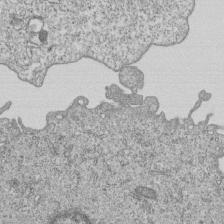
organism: Human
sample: MDA-MB-231 cells